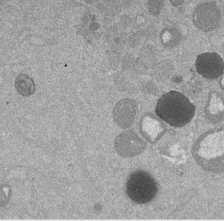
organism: Mouse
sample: Dividing mouse embryo 1 cell stage